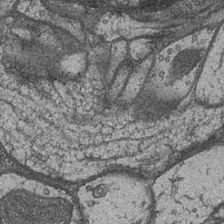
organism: Drosophila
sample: Optic medulla